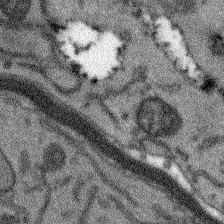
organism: Arabidopsis thaliana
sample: Root tip